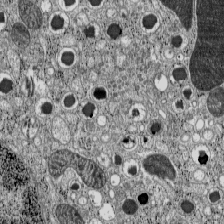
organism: C57BL Mouse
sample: Pancreatic islet